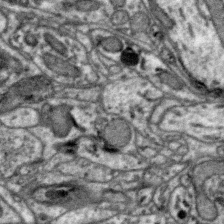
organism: Zebra finch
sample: Brain